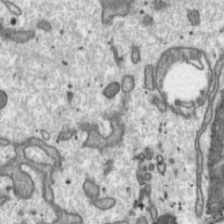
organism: Toxoplasma gondii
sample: Parasites in a vacuole inside a host cell